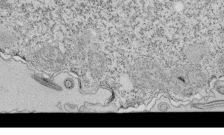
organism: Tetrahymena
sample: Cilia in tetrahymena